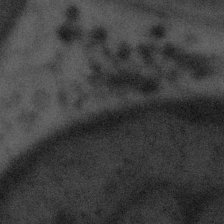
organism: Tuwongella immobilis